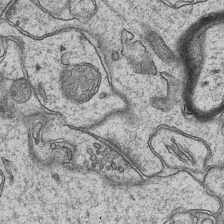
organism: Mouse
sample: CA1 Hippocampus